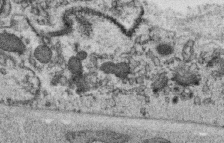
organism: C. elegans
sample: C. elegans oocyte; sperm cells